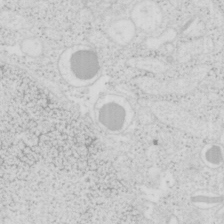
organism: Mouse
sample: Pancreas